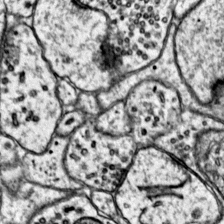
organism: Mouse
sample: Primary visual cortex